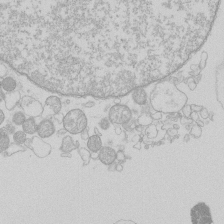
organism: Human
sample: Macrophage cells